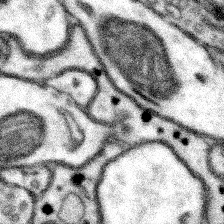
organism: Mouse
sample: Somatosensory cortex neuropil